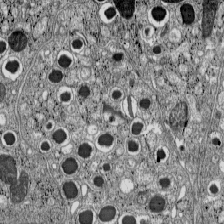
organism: C57BL Mouse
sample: Pancreatic islet